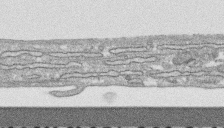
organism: Human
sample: CRL-1474